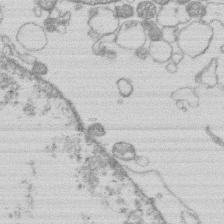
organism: Human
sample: Macrophage cells